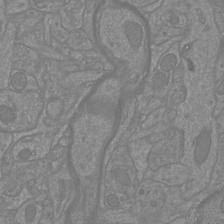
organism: Mouse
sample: Cortical neurons